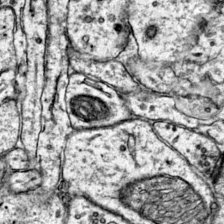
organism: Mouse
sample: Primary visual cortex